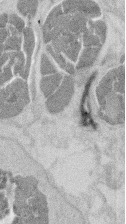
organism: Mouse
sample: T cell stromal cell synapse